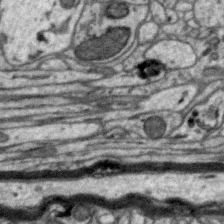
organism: Zebra finch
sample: Brain